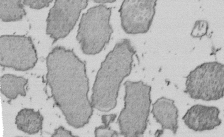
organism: E. coli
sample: Bacterial nucleoid